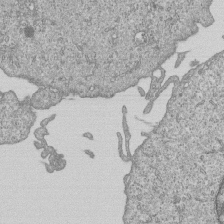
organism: Human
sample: MDA-MB-231 cells